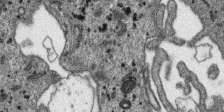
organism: Human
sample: Lung epithelial cells infected with SARS-CoV-2